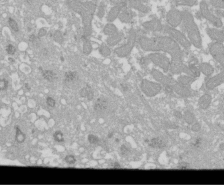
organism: Xenopus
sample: Cilia; centrioles in frog embryo cells